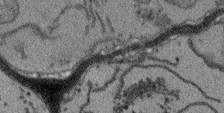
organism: Arabidopsis thaliana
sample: Root tip